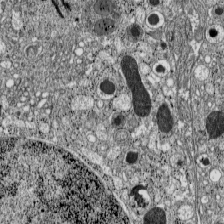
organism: C57BL Mouse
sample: Pancreatic islet